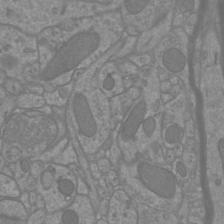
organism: Mouse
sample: Cortical neurons